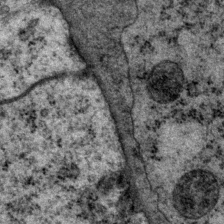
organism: P. pacificus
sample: Pharynx